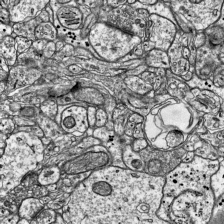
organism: Mouse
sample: Visual Cortex